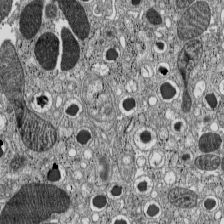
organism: C57BL Mouse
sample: Pancreatic islet